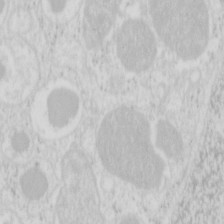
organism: Mouse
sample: Pancreas